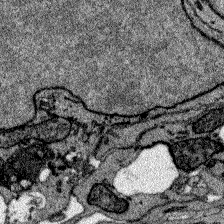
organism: Zebrafish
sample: Larval olfactory bulb